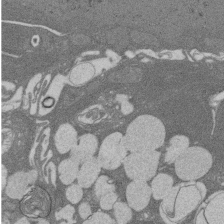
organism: Rat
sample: Salivary granule